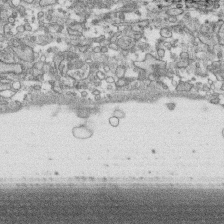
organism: Human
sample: CRL-1474